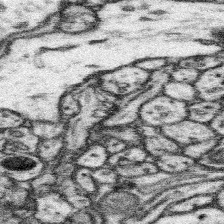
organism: Mouse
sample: Somatosensory cortex neuropil